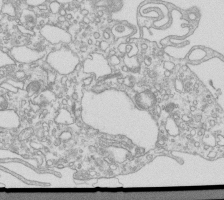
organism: Mouse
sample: Macrophages